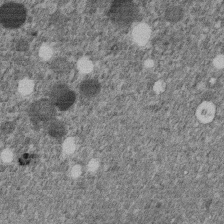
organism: C. elegans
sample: C. elegans embryo early stage